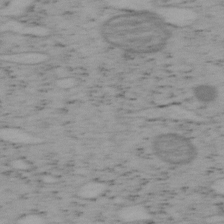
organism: Mouse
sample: OT-I killer T cells with ID8 ovarian cancer cells